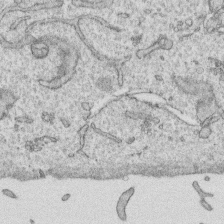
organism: Human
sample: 1205lu cells